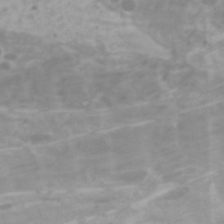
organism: Zebrafish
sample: Zebrafish embryo